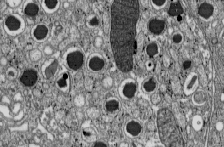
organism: C57BL Mouse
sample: Pancreatic islet